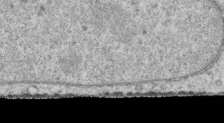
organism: Human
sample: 1205lu cells